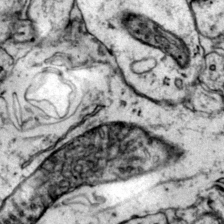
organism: Mouse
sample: Primary visual cortex